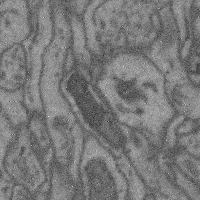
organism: Mouse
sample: Cerebral cortex